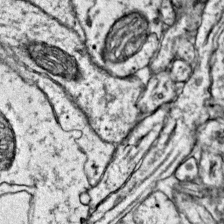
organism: Mouse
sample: Primary visual cortex